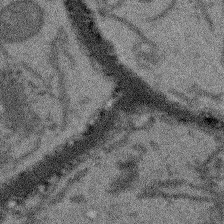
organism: Arabidopsis thaliana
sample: Root tip